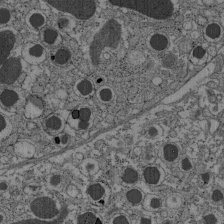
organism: C57BL Mouse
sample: Pancreatic islet